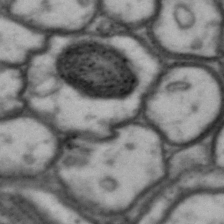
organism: Drosophila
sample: Brain